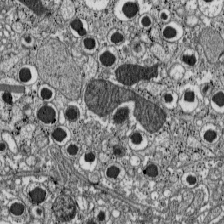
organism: C57BL Mouse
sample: Pancreatic islet